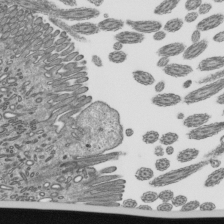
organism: Mouse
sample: Mouse epididymis efferent ductule cilia